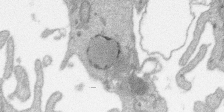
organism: Human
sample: Lung epithelial cells infected with SARS-CoV-2